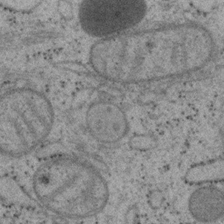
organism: Human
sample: HeLa cells